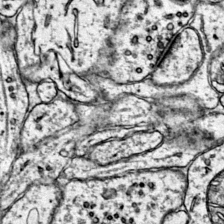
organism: Mouse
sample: Primary visual cortex